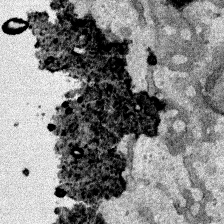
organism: Human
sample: Mitochondria in HCT116 cells